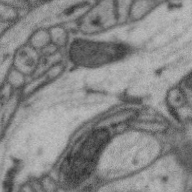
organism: Zebra finch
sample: Brain